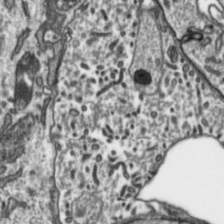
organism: Toxoplasma gondii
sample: Parasites in a vacuole inside a host cell